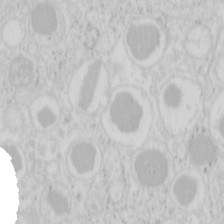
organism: Mouse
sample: Pancreas